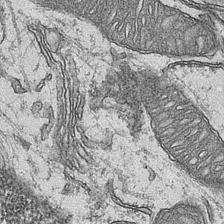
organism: Mouse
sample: CA1 Hippocampus